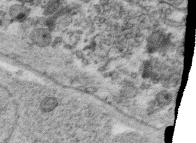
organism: C. elegans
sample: C. elegans oocyte; sperm cells